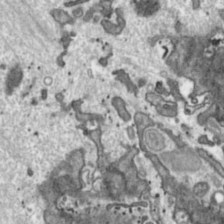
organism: Toxoplasma gondii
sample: Parasites in a vacuole inside a host cell